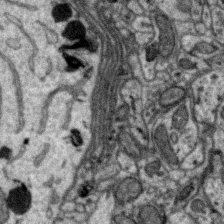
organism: Zebra finch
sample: Brain